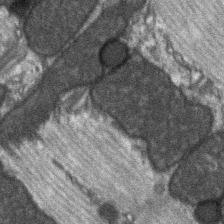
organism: C57BL Mouse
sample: Soleus